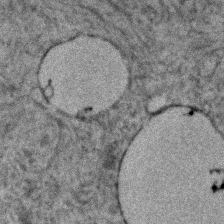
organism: Human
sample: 1205lu cells